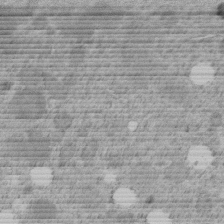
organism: C. elegans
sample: C. elegans embryo early stage